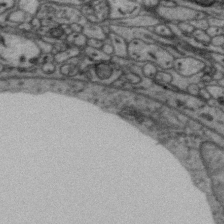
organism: Zebra finch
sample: Brain